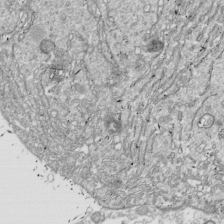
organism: Drosophila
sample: Cell division; meiosis; drosophila spermatocytes